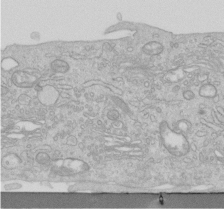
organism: Human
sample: Centriole in RPE cells